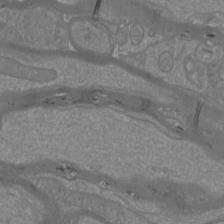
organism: Mouse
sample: Cortical neurons